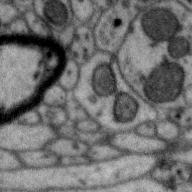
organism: Zebra finch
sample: Brain